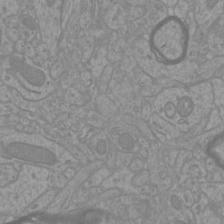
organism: Mouse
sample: Cortical neurons